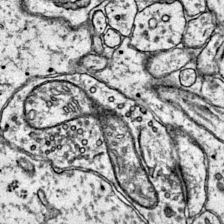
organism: Mouse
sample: Primary visual cortex